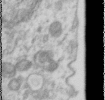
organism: Human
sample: Cilia; basal body in RPE cells